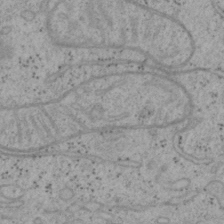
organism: Human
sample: HeLa cells